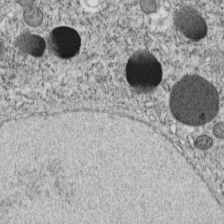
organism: C. elegans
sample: C. elegans embryo early stage